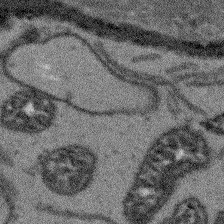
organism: Arabidopsis thaliana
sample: Root tip